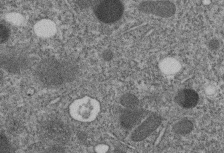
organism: C. elegans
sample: C. elegans embryo early stage